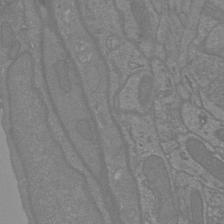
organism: Mouse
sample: Cortical neurons